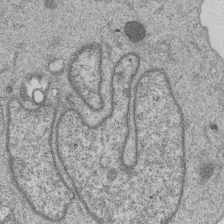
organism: Human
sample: MDA-MB-231 cells